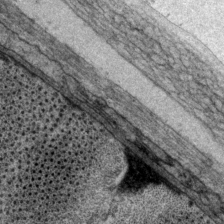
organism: P. pacificus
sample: Pharynx